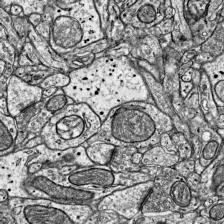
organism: Mouse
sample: Visual Cortex